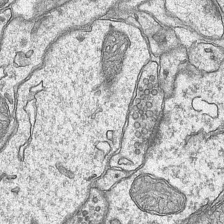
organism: Mouse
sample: CA1 Hippocampus